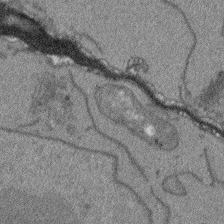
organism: Arabidopsis thaliana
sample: Root tip